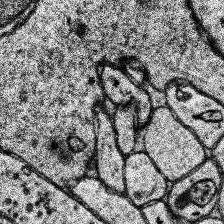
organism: Human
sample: Temporal Lobe